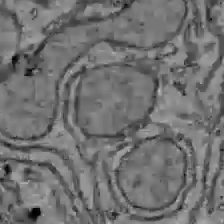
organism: C57BL Mouse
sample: Liver